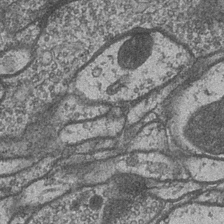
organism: Drosophila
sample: Optic medulla